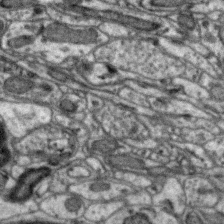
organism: Zebra finch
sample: Brain